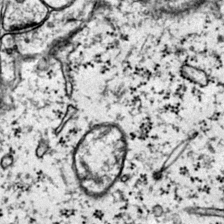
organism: Mouse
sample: Primary visual cortex